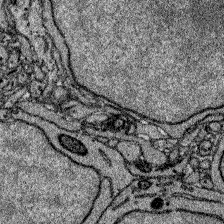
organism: Zebrafish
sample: Larval olfactory bulb